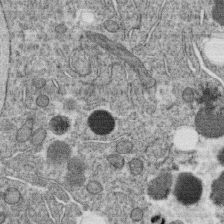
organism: C. elegans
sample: C. elegans oocyte; sperm cells